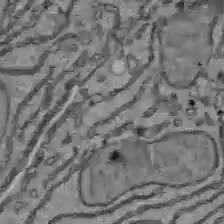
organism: C57BL Mouse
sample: Liver